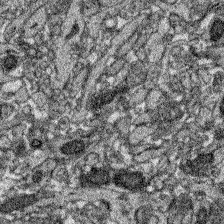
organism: Zebrafish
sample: Larval olfactory bulb